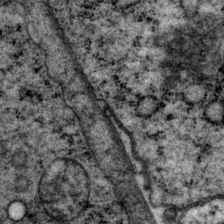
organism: P. pacificus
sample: Pharynx